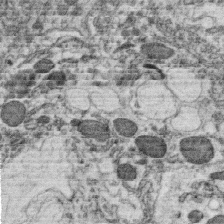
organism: C. elegans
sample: C. elegans oocyte; sperm cells